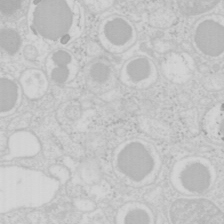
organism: Mouse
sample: Pancreas